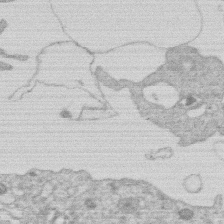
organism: Human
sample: Macrophage cells